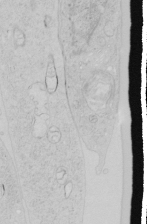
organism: Human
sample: Mitochondria in HCT116 cells